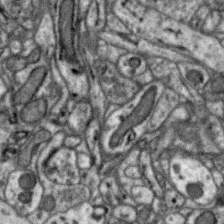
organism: Zebra finch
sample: Brain